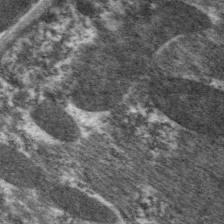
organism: C. elegans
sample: Pharynx